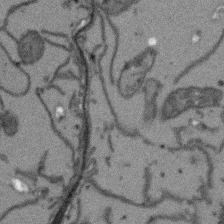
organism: Arabidopsis thaliana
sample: Root tip